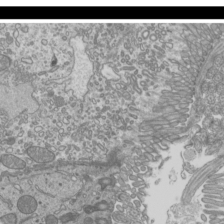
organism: Mouse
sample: Cilia; mouse epididymis